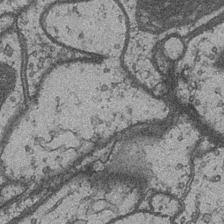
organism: Drosophila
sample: Optic medulla